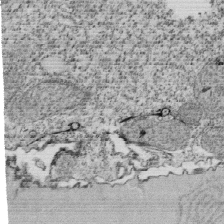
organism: Tetrahymena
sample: Cilia in tetrahymena